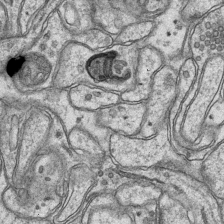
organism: Mouse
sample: CA1 Hippocampus